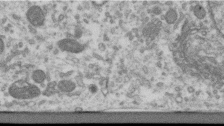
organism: Human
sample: Centriole in RPE cells